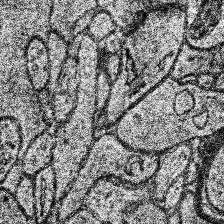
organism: Human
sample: Temporal Lobe